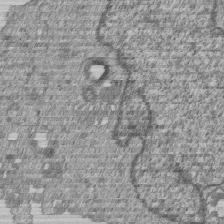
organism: Human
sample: MDA-MB-231 cells